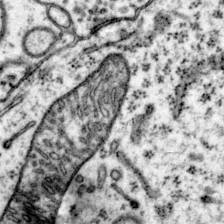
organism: Mouse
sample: Primary visual cortex